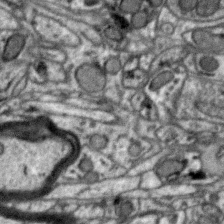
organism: Zebra finch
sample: Brain